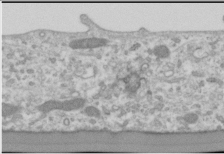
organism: Human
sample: Cilia; basal body in RPE cells